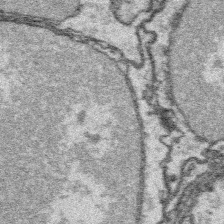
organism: Platynereis dumerilii